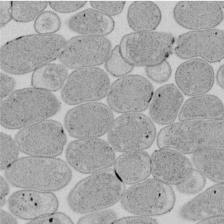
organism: E. coli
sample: Bacterial nucleoid